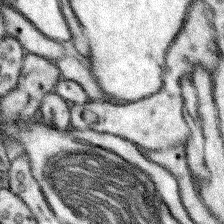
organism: Mouse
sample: Somatosensory cortex neuropil